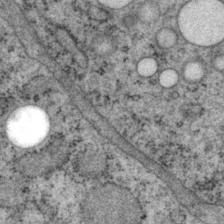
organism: P. pacificus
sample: Pharynx